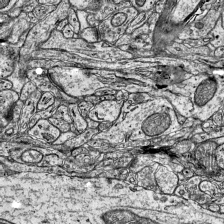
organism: Mouse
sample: Visual Cortex